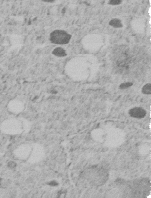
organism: C. elegans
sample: C. elegans embryo early stage